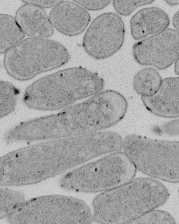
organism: E. coli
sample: Bacterial nucleoid